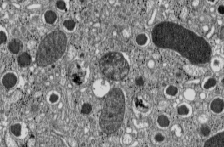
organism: C57BL Mouse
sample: Pancreatic islet